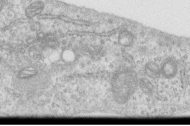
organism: Human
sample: Centriole in RPE cells